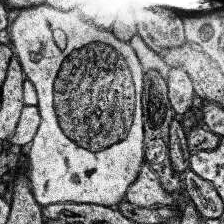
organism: Human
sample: Temporal Lobe